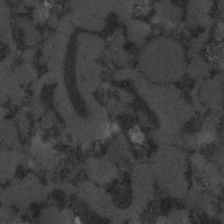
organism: C. elegans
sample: C. elegans embryo